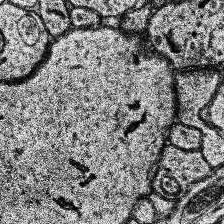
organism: Human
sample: Temporal Lobe